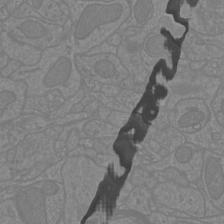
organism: Mouse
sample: Cortical neurons